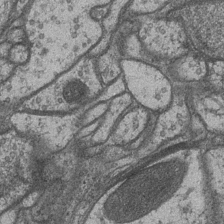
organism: Drosophila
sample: Optic medulla